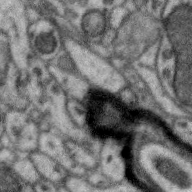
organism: Zebra finch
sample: Brain